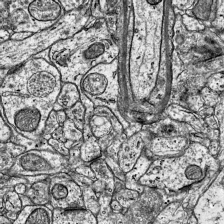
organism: Mouse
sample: Visual Cortex